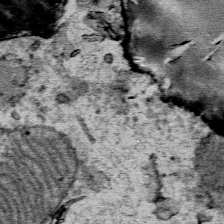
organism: Mouse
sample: Mouse Salivary gland